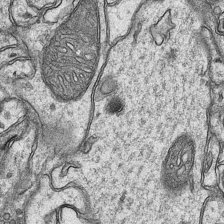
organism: Mouse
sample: CA1 Hippocampus